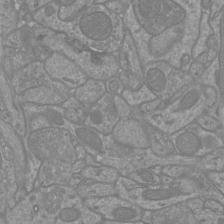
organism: Mouse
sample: Cortical neurons